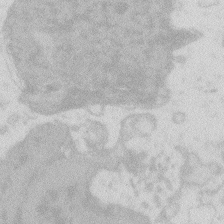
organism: Zebrafish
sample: Macrophage